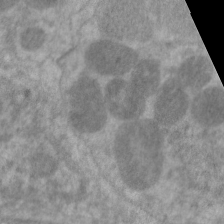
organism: C. elegans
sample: Pharynx